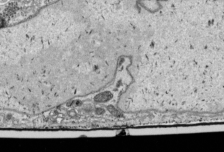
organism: Human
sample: Mitochondria in HCT116 cells